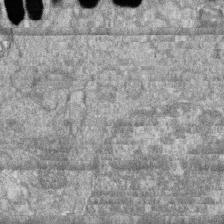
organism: Zebrafish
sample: Cilia; retinal pigment epithelium